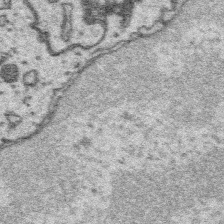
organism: Platynereis dumerilii